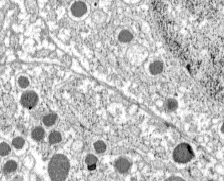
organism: C57BL Mouse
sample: Pancreatic islet